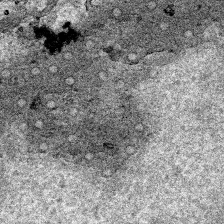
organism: Human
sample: Mitochondria in HCT116 cells